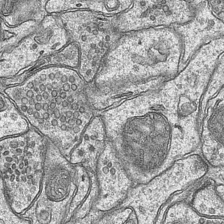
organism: Mouse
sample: CA1 Hippocampus